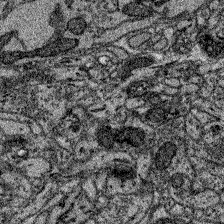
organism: Zebrafish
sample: Larval olfactory bulb